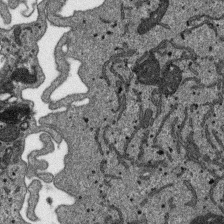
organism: Human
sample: Lung epithelial cells infected with SARS-CoV-2